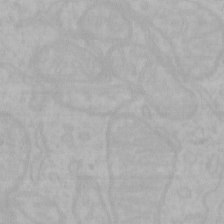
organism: Mouse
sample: Choroid plexus